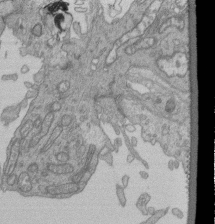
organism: Human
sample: Retinal organoid Rod and Cone cells